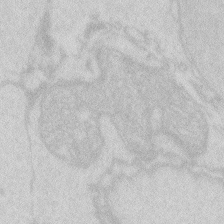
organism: Zebrafish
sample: Macrophage